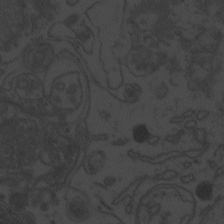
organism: Zebrafish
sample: Macrophage infected with Toxoplasma gondii